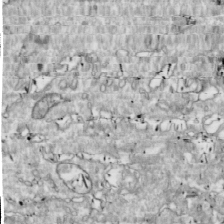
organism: Drosophila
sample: Cell division; meiosis; drosophila spermatocytes